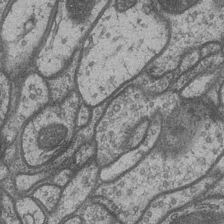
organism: Drosophila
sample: Optic medulla